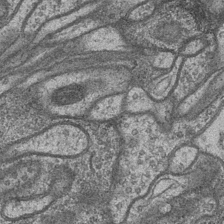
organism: Drosophila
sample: Optic medulla